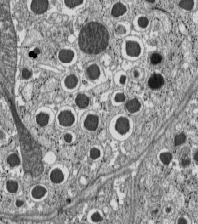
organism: C57BL Mouse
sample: Pancreatic islet